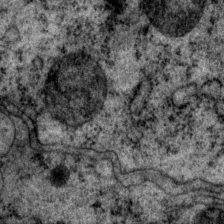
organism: P. pacificus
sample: Pharynx